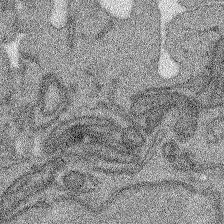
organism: Human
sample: HeLa cells